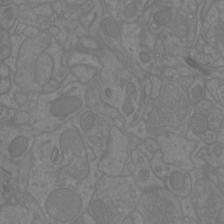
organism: Mouse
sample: Cortical neurons